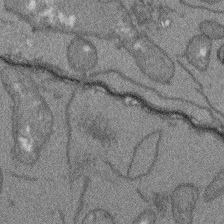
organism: Arabidopsis thaliana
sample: Root tip